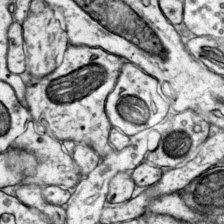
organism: Mouse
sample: Primary visual cortex